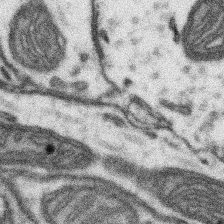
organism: Mouse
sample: Somatosensory cortex neuropil